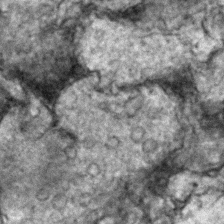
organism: Zebrafish